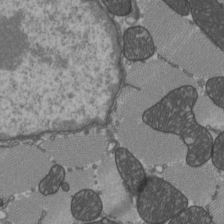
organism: C57BL Mouse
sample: Heart